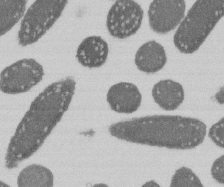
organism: E. coli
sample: Bacterial nucleoid